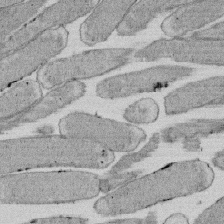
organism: E. coli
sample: Bacterial nucleoid